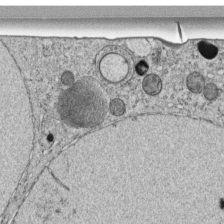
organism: C. elegans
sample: C. elegans embryo early stage